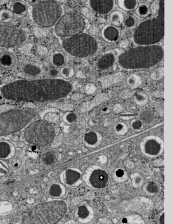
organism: C57BL Mouse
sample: Pancreatic islet